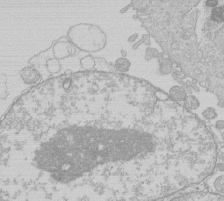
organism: Human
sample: Macrophage cells